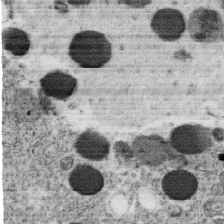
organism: C. elegans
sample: C. elegans oocyte; sperm cells